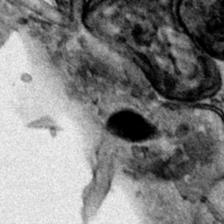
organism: Human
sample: Mitochondria in HCT116 cells